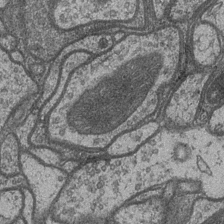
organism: Drosophila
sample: Optic medulla